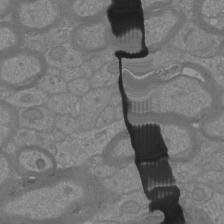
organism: Mouse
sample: Cortical neurons